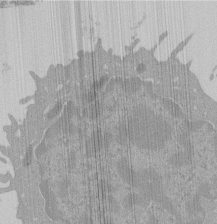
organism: Mouse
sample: Activated Pmel transgenic CD8+ T Cells